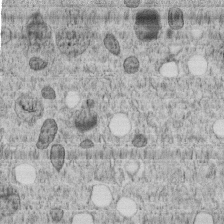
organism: C. elegans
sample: C. elegans embryo early stage